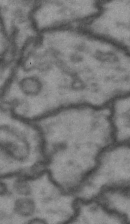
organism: Drosophila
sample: Brain